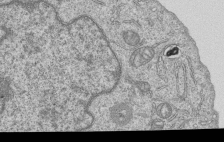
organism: Human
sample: MDA-MB-231 cells